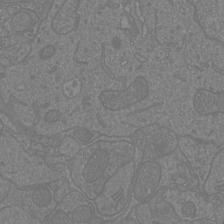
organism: Mouse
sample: Cortical neurons